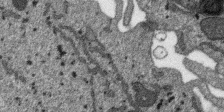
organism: Human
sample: Lung epithelial cells infected with SARS-CoV-2